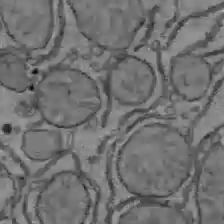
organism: C57BL Mouse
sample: Liver